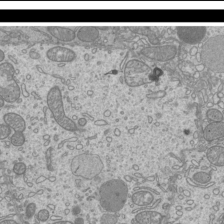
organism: Mouse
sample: Cilia; mouse epididymis